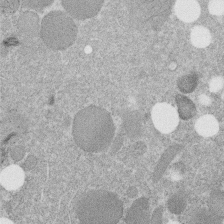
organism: C. elegans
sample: C. elegans embryo early stage